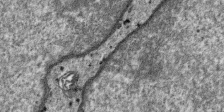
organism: Human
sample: Lung epithelial cells, uninfected (mock) control